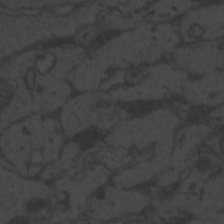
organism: Zebrafish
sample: Macrophage infected with Toxoplasma gondii